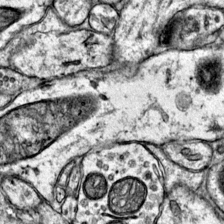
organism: Mouse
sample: Primary visual cortex